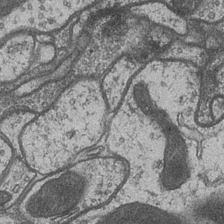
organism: Drosophila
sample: Optic medulla